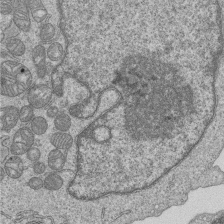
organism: Human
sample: MDA-MB-231 cells